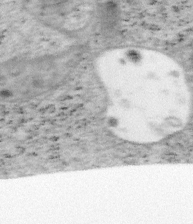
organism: Mouse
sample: OT-I killer T cells with ID8 ovarian cancer cells